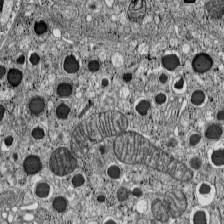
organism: C57BL Mouse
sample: Pancreatic islet